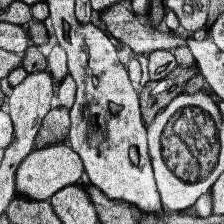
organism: Human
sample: Temporal Lobe